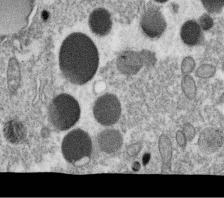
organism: C. elegans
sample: C. elegans oocyte; sperm cells